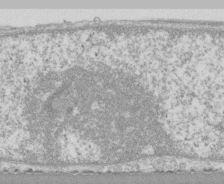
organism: Human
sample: CRL-1474